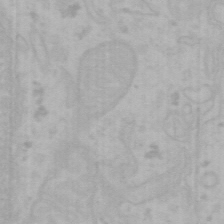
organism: Mouse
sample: Choroid plexus